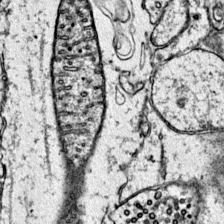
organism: Mouse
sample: Primary visual cortex